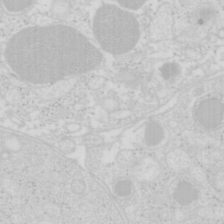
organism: Mouse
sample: Pancreas